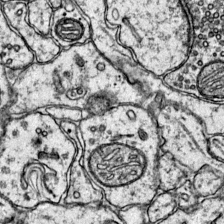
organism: Mouse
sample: Primary visual cortex